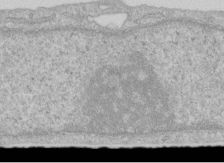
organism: Human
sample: Centriole in RPE cells